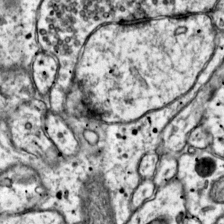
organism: Mouse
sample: Primary visual cortex